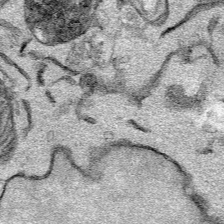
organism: Mouse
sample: Cancer cell death in ED-1 cells